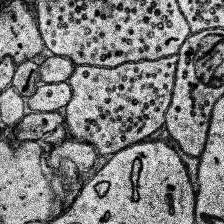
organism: Human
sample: Temporal Lobe